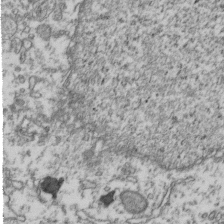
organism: Human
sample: Activated Jurkat CD4+ T cells